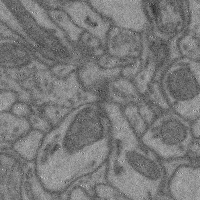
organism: Mouse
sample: Cerebral cortex